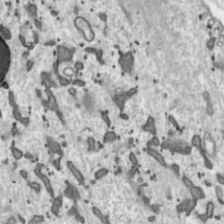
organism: Toxoplasma gondii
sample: Parasites in a vacuole inside a host cell